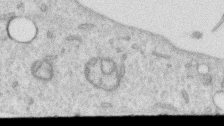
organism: Human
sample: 1205lu cells